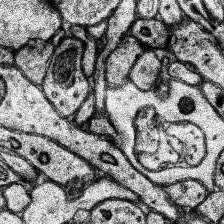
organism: Human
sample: Temporal Lobe